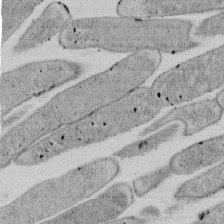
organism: E. coli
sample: Bacterial nucleoid